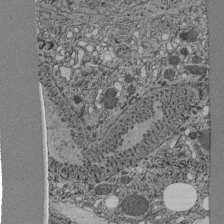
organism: C. elegans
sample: C. elegans pharynx